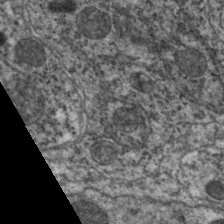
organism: C. elegans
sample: Pharynx